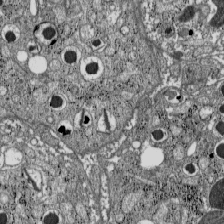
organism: C57BL Mouse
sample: Pancreatic islet